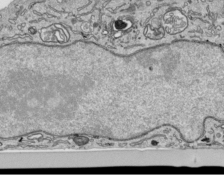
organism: Human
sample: Mitochondria in HCT116 cells